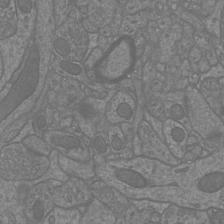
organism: Mouse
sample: Cortical neurons